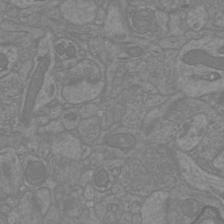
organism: Mouse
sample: Cortical neurons